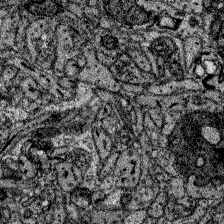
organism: Zebrafish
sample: Larval olfactory bulb